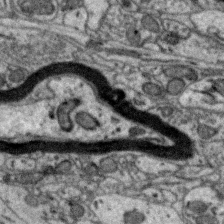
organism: Zebra finch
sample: Brain